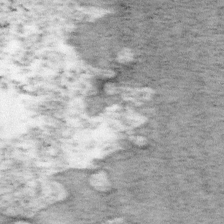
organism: Mouse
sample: OT-I killer T cells with ID8 ovarian cancer cells